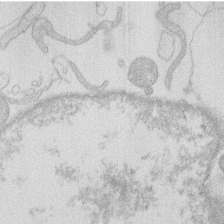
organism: Human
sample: Macrophage cells